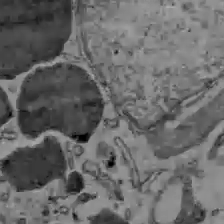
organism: C57BL Mouse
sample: Liver